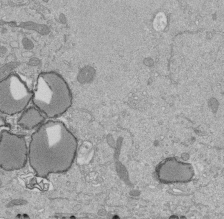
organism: Mouse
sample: ED-1 cell nuclei; centrioles